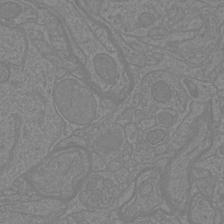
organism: Mouse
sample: Cortical neurons